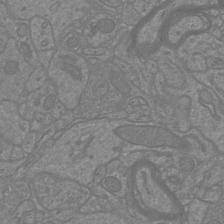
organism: Mouse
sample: Cortical neurons